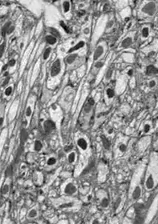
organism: Drosophila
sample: Optic lobe